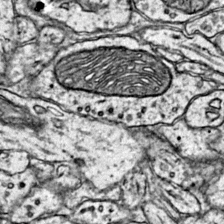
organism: Mouse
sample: Primary visual cortex